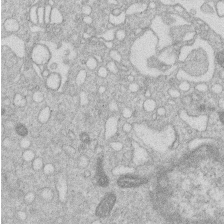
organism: Human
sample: Macrophage cells